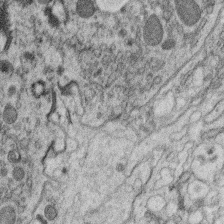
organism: C. elegans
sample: C. elegans oocyte; sperm cells